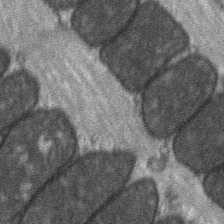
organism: C57BL Mouse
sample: Soleus